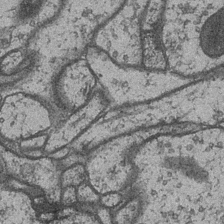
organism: Drosophila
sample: Optic medulla